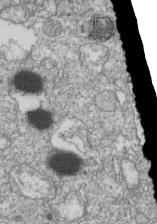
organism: Human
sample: HeLa cell HIV synapse